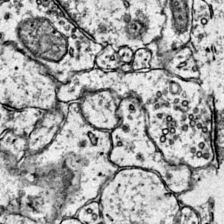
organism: Mouse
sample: Primary visual cortex